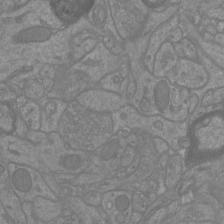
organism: Mouse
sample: Cortical neurons